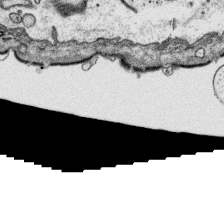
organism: Platynereis dumerilii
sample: Parapodia